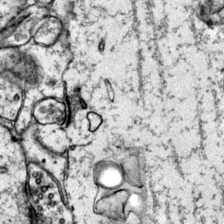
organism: Mouse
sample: Primary visual cortex